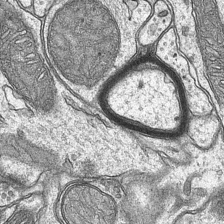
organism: Mouse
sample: CA1 Hippocampus